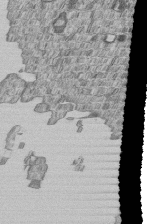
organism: Human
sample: MDA-MB-231 cells